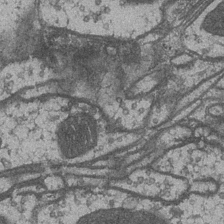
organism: Drosophila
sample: Optic medulla